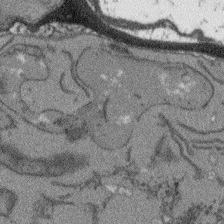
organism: Arabidopsis thaliana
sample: Root tip